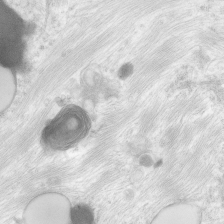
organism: Human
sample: Neocortex